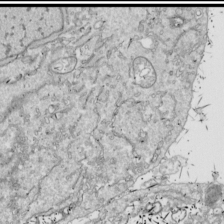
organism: Drosophila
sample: Cell division; meiosis; drosophila spermatocytes